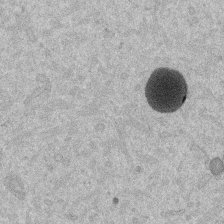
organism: Mouse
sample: Dividing mouse embryo 1 cell stage